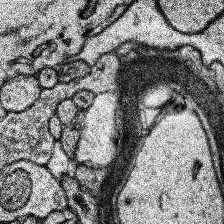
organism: Human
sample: Temporal Lobe